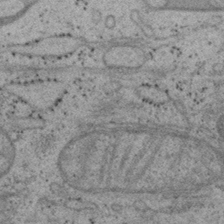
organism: Human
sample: HeLa cells